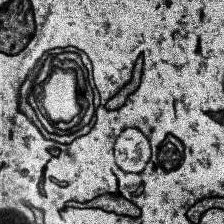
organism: Human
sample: Temporal Lobe